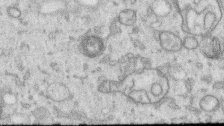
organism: Human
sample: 1205lu cells